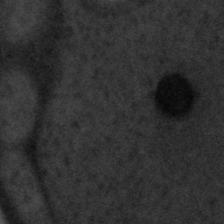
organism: Tuwongella immobilis